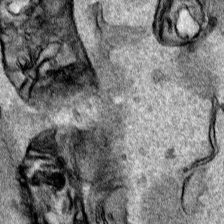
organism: Human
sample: Mitochondria in HCT116 cells